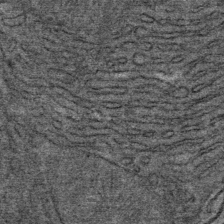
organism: Mouse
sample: Mouse Salivary gland